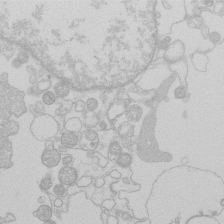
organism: Human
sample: Macrophage cells